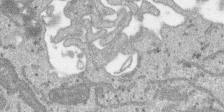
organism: Human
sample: Lung epithelial cells infected with SARS-CoV-2